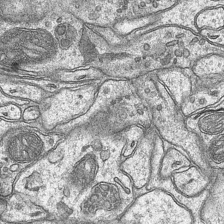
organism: Mouse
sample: CA1 Hippocampus